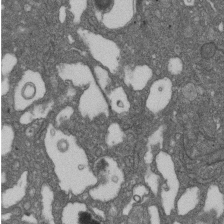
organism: Drosophila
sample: Nephrocyte